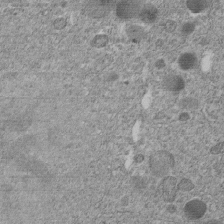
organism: C. elegans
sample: C. elegans embryo early stage